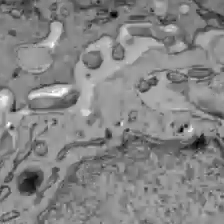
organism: C57BL Mouse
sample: Liver